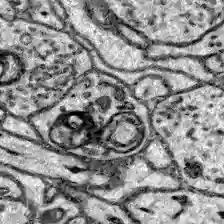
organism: Zebrafish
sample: Brain